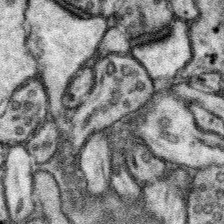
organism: Mouse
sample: Somatosensory cortex neuropil